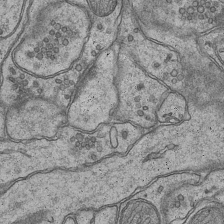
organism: Mouse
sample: CA1 Hippocampus